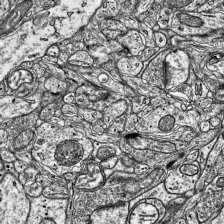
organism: Mouse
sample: Visual Cortex